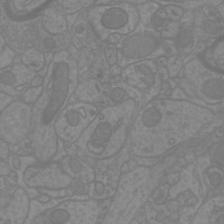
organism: Mouse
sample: Cortical neurons